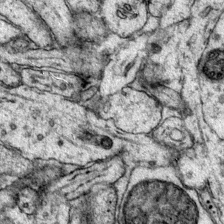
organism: Mouse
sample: Primary visual cortex